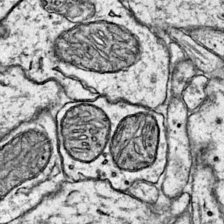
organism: Mouse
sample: Primary visual cortex